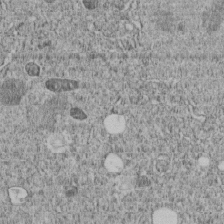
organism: C. elegans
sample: C. elegans embryo early stage